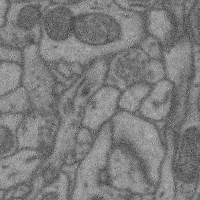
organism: Mouse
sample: Cerebral cortex